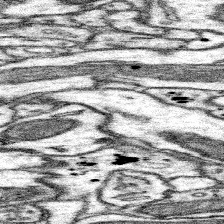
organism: Mouse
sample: Somatosensory cortex neuropil